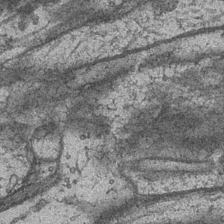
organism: Drosophila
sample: Optic medulla